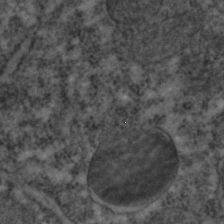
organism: C. elegans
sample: C. elegans embryo